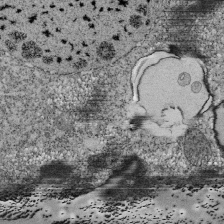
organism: Tetrahymena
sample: Cilia in tetrahymena